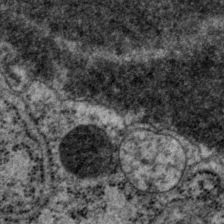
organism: P. pacificus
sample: Pharynx